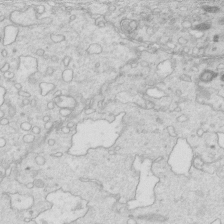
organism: Mouse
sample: Multiciliated cells